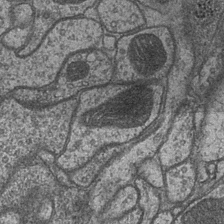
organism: Drosophila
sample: Optic medulla